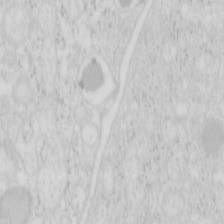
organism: Mouse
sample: Pancreas